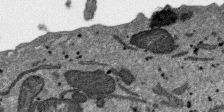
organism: Human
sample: Lung epithelial cells, uninfected (mock) control